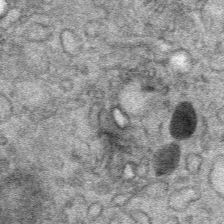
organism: Mouse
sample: Mouse Salivary gland